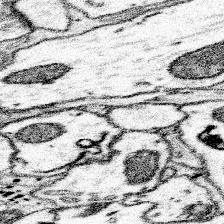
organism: Mouse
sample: Somatosensory cortex neuropil